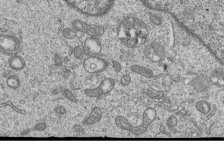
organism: Human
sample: MDA-MB-231 cells